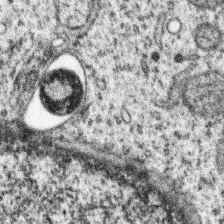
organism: Human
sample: HeLa cells